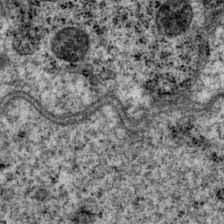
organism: P. pacificus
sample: Pharynx